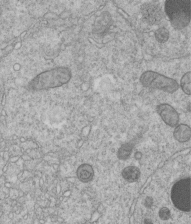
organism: C. elegans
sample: C. elegans embryo early stage